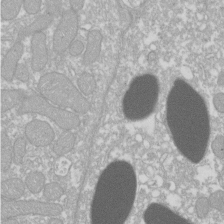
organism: Xenopus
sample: Cilia; centrioles in frog embryo cells